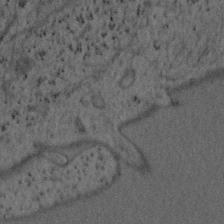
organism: Human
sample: HeLa cells